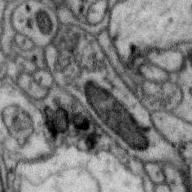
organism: Zebra finch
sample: Brain